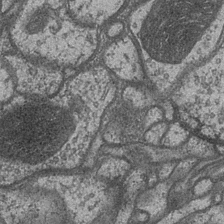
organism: Drosophila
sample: Optic medulla